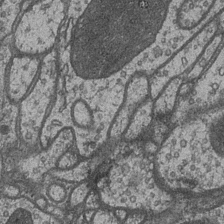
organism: Drosophila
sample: Optic medulla